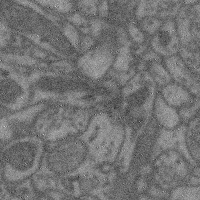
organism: Mouse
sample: Cerebral cortex